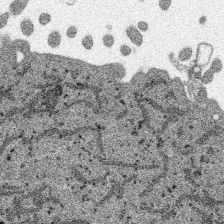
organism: Human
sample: Lung epithelial cells infected with SARS-CoV-2